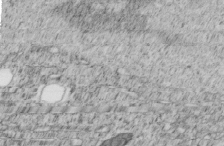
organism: C. elegans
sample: C. elegans embryo early stage